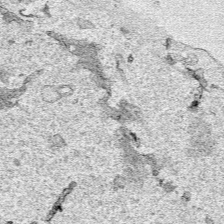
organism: Human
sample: Mitochondria in HCT116 cells